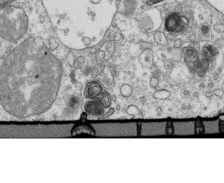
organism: Mouse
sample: Activated OT-1 CD8+ T cells